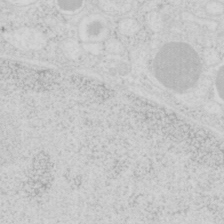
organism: Mouse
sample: Pancreas